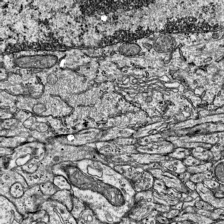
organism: Mouse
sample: Visual Cortex